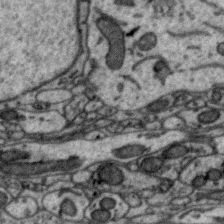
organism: Zebra finch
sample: Brain